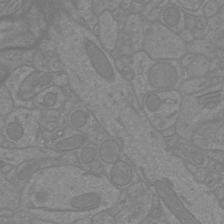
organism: Mouse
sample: Cortical neurons